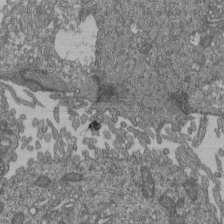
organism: Human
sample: Retinal organoid Rod and Cone cells